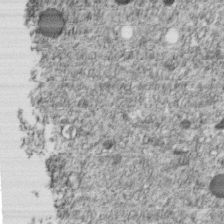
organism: C. elegans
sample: C. elegans embryo early stage